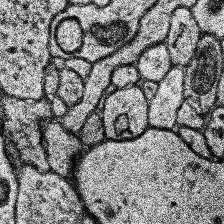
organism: Human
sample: Temporal Lobe